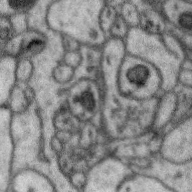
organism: Zebra finch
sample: Brain